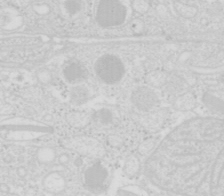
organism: Mouse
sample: Pancreas